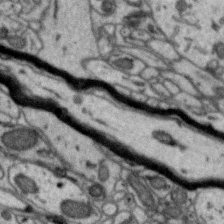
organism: Zebra finch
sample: Brain